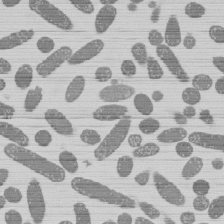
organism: E. coli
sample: Bacterial nucleoid